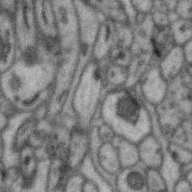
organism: Zebra finch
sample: Brain